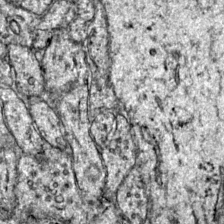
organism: Mouse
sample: Primary visual cortex